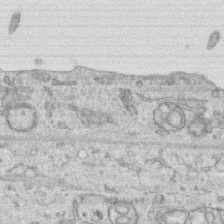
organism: Human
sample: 1205lu cells